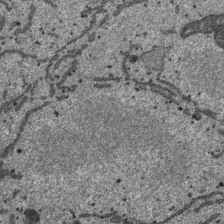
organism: Human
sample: Lung epithelial cells infected with SARS-CoV-2